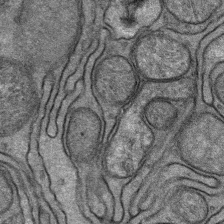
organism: Mouse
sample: Mouse Salivary gland